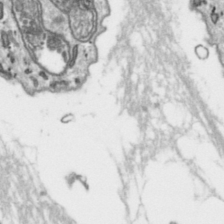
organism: Toxoplasma gondii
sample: Parasites in a vacuole inside a host cell